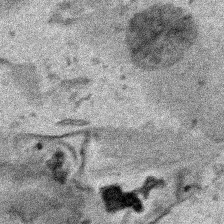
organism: Human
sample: Mitochondria in HCT116 cells